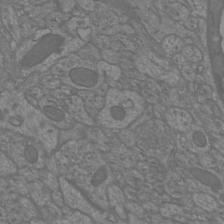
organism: Mouse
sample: Cortical neurons